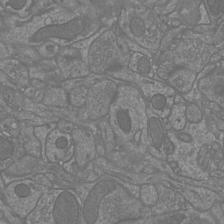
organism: Mouse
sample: Cortical neurons